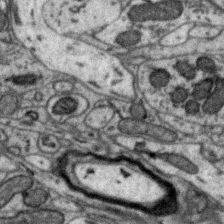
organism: Zebra finch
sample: Brain